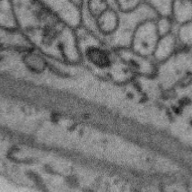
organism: Zebra finch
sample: Brain